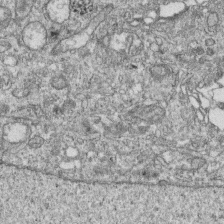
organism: Human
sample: HeLa cell HIV synapse